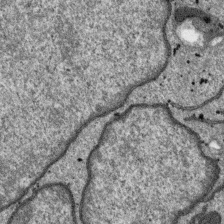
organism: Human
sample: Lung epithelial cells, uninfected (mock) control